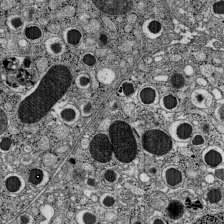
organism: C57BL Mouse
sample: Pancreatic islet